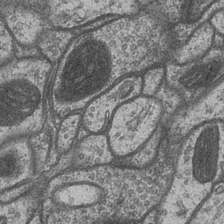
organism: Drosophila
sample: Optic medulla